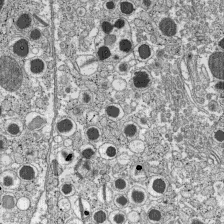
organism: C57BL Mouse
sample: Pancreatic islet